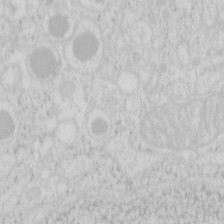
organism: Mouse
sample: Pancreas